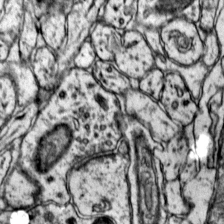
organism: Mouse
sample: Primary visual cortex